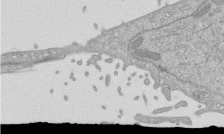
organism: Mouse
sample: ED-1 cell nuclei; centrioles